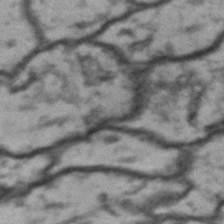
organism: Drosophila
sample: Brain